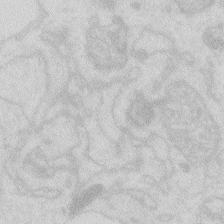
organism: Zebrafish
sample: Macrophage